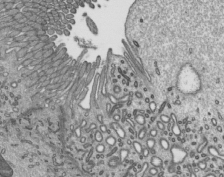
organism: Mouse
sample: Mouse epididymis efferent ductule cilia